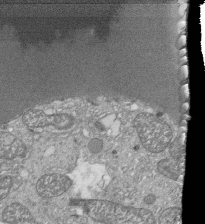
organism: Tetrahymena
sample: Cilia in tetrahymena